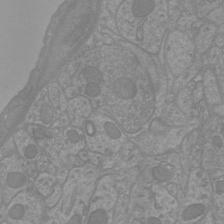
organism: Mouse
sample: Cortical neurons